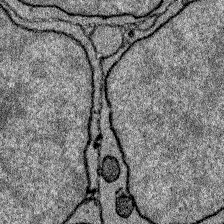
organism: Zebrafish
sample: Larval olfactory bulb